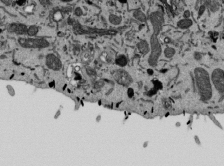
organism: Mouse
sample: ED-1 cell nuclei; centrioles